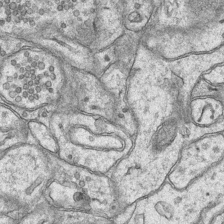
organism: Mouse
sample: CA1 Hippocampus